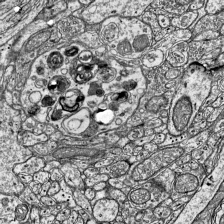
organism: Mouse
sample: Visual Cortex